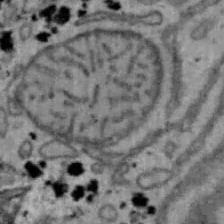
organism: Mouse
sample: Liver